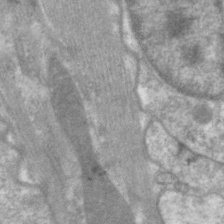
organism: C. elegans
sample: Pharynx